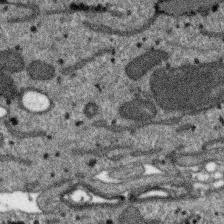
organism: Human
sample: Lung epithelial cells infected with SARS-CoV-2